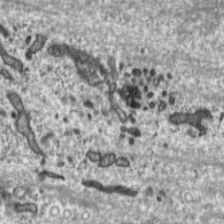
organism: Toxoplasma gondii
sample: Parasites in a vacuole inside a host cell